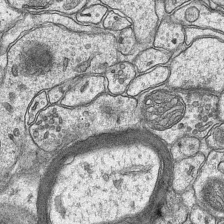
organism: Mouse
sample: CA1 Hippocampus